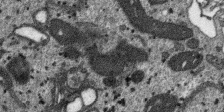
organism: Human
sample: Lung epithelial cells infected with SARS-CoV-2